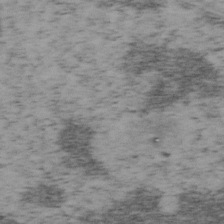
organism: Mouse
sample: OT-I killer T cells with ID8 ovarian cancer cells